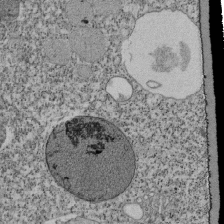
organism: Tetrahymena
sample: Cilia in tetrahymena